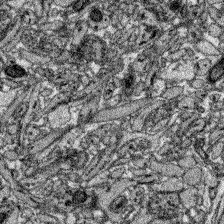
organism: Zebrafish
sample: Larval olfactory bulb